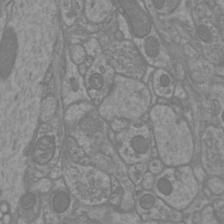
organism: Mouse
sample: Cortical neurons